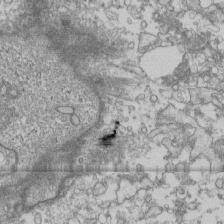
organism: Human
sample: Fibroblast cells